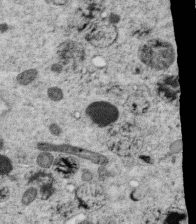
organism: C. elegans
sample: C. elegans oocyte; sperm cells